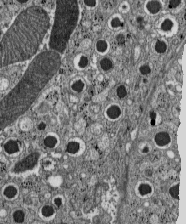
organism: C57BL Mouse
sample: Pancreatic islet